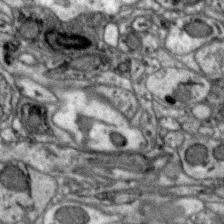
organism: Zebra finch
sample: Brain